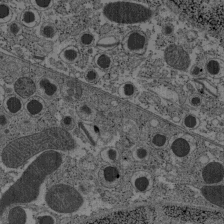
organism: C57BL Mouse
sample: Pancreatic islet